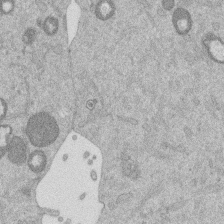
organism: Mouse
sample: Dividing mouse embryo 1 cell stage